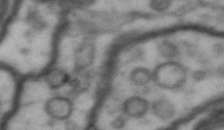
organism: Drosophila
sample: Brain